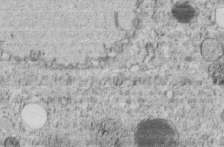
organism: C. elegans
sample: C. elegans embryo early stage